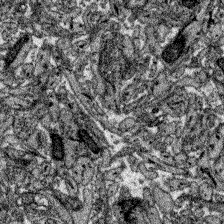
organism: Zebrafish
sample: Larval olfactory bulb